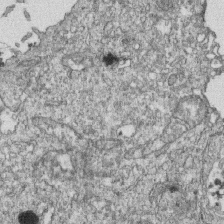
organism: Human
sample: HeLa cell HIV synapse